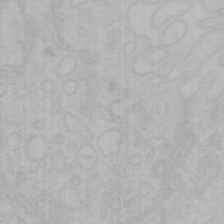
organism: Mouse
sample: Choroid plexus